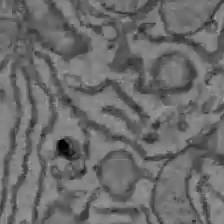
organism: C57BL Mouse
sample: Liver